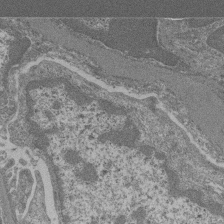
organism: Mouse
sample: Glomerulus